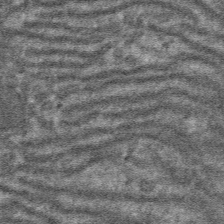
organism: Mouse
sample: Mouse hepatocytes